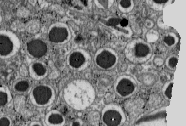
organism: C57BL Mouse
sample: Pancreatic islet